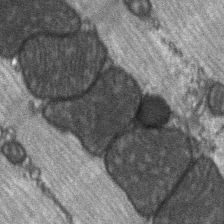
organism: C57BL Mouse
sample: Soleus